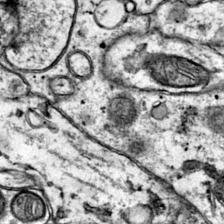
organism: Mouse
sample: Primary visual cortex